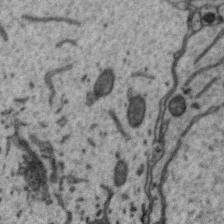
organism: Zebra finch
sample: Brain